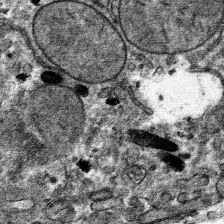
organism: Mouse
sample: Mouse hepatocytes